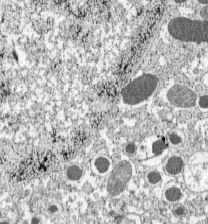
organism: C57BL Mouse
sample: Pancreatic islet